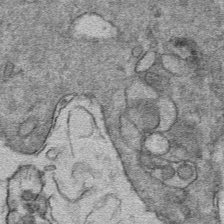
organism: Mouse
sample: Mouse hepatocytes